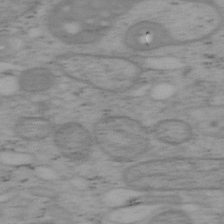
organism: Mouse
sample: OT-I killer T cells with ID8 ovarian cancer cells